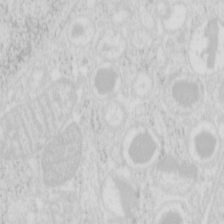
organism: Mouse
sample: Pancreas